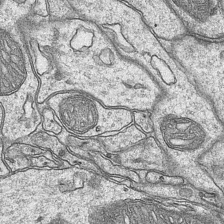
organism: Mouse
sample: CA1 Hippocampus